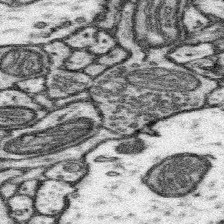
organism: Mouse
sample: Somatosensory cortex neuropil